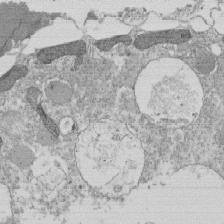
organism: Tetrahymena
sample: Cilia in tetrahymena